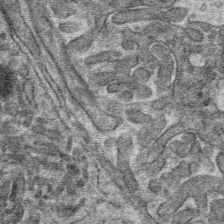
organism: Mouse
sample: Mouse hepatocytes